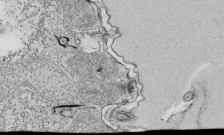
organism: Tetrahymena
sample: Cilia in tetrahymena